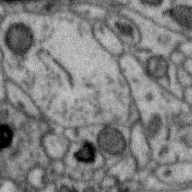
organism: Zebra finch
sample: Brain